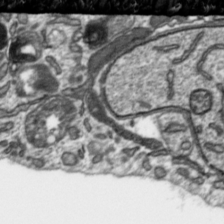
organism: Toxoplasma gondii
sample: Parasites in a vacuole inside a host cell